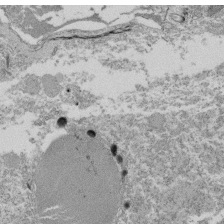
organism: Tetrahymena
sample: Cilia in tetrahymena